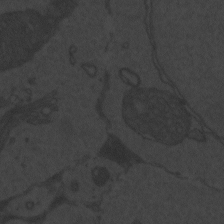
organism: Zebrafish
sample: Macrophage infected with Toxoplasma gondii